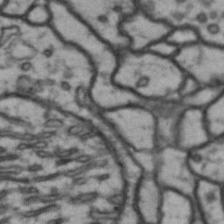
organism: Drosophila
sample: Brain